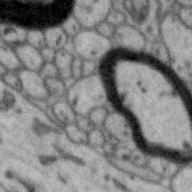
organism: Zebra finch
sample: Brain